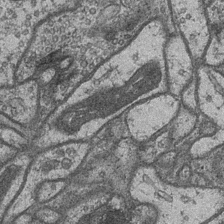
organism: Drosophila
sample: Optic medulla